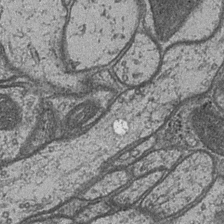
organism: Drosophila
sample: Optic medulla